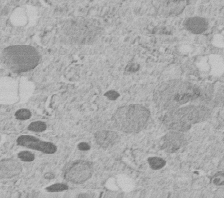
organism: C. elegans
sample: C. elegans embryo early stage